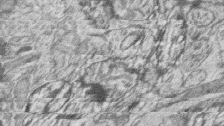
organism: Zebrafish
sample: synaptic ribbons in rod cells and cone cells